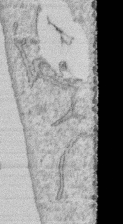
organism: Human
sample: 1205lu cells